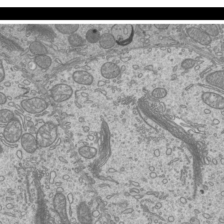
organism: Mouse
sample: Cilia; mouse epididymis